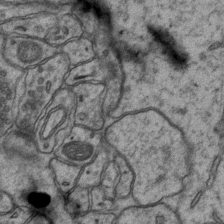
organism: Mouse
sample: CA1 Hippocampus